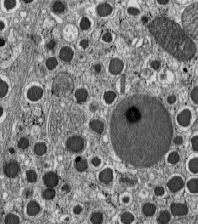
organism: C57BL Mouse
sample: Pancreatic islet